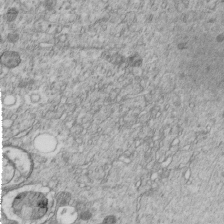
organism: C. elegans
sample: C. elegans embryo early stage